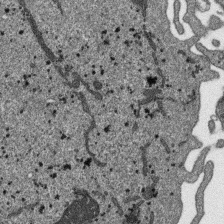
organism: Human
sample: Lung epithelial cells infected with SARS-CoV-2